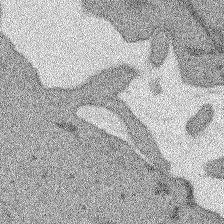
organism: Human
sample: HeLa cells